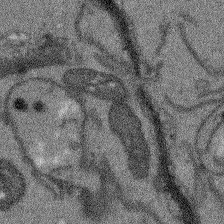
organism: Arabidopsis thaliana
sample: Root tip